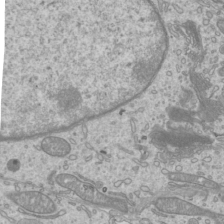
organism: Mouse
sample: Cilia; mouse epididymis